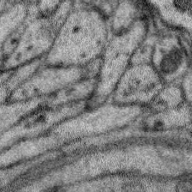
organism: Zebra finch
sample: Brain